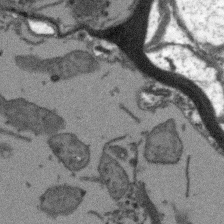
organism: Arabidopsis thaliana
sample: Root tip